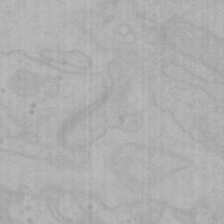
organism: Mouse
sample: Choroid plexus